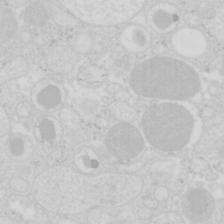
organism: Mouse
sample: Pancreas